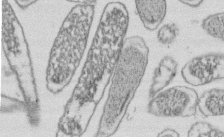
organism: E. coli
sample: Bacterial nucleoid